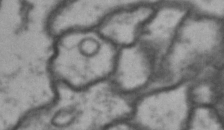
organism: Drosophila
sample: Brain